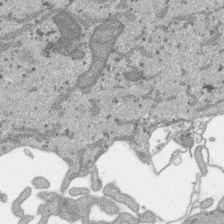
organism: Human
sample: Lung epithelial cells infected with SARS-CoV-2